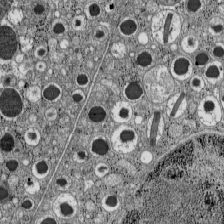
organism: C57BL Mouse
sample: Pancreatic islet